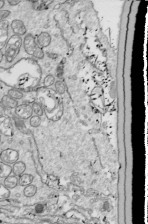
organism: Drosophila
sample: Cell division; meiosis; drosophila spermatocytes